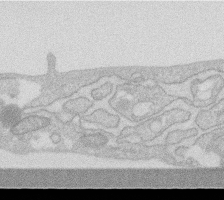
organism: Human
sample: Fibroblast cells